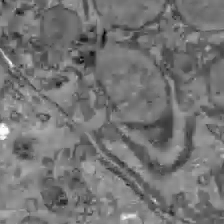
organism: C57BL Mouse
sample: Liver